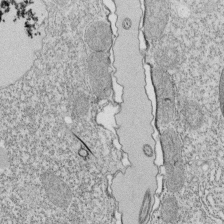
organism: Tetrahymena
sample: Cilia in tetrahymena